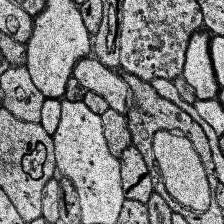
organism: Human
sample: Temporal Lobe